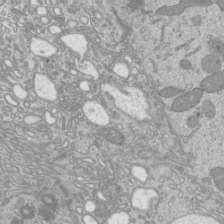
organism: Mouse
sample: Cilia; mouse epididymis